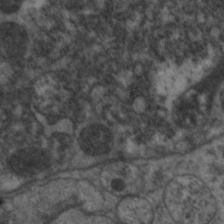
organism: C. elegans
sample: Pharynx